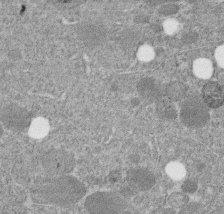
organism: C. elegans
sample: C. elegans embryo early stage